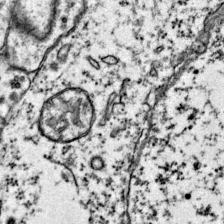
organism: Mouse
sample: Primary visual cortex